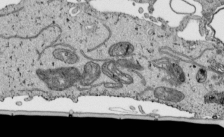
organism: Human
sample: Mitochondria in HCT116 cells